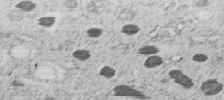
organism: C. elegans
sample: C. elegans embryo early stage